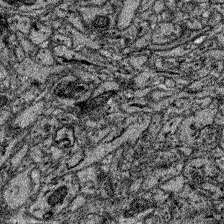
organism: Zebrafish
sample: Larval olfactory bulb